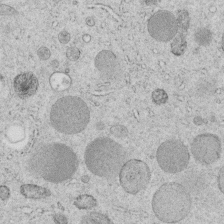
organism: C. elegans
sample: C. elegans embryo early stage